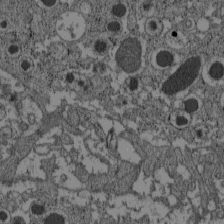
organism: C57BL Mouse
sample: Pancreatic islet